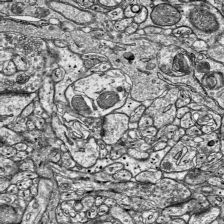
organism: Mouse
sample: Visual Cortex